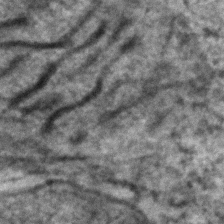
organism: Zebrafish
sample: Zebrafish embryo